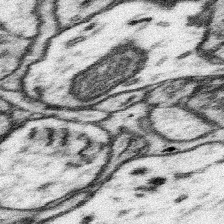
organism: Mouse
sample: Somatosensory cortex neuropil